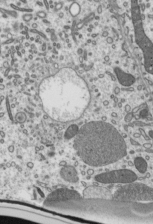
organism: Mouse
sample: Mouse epididymis efferent ductule cilia